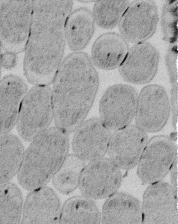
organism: E. coli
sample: Bacterial nucleoid